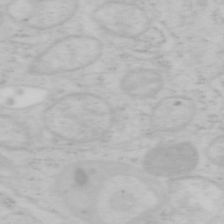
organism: Mouse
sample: OT-I killer T cells with ID8 ovarian cancer cells